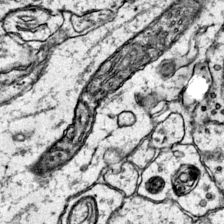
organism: Mouse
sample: Primary visual cortex